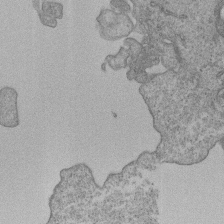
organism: Human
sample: MDA-MB-231 cells